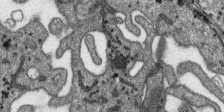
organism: Human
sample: Lung epithelial cells infected with SARS-CoV-2